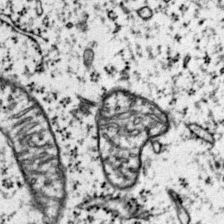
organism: Mouse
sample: Primary visual cortex